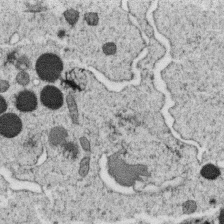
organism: C. elegans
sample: C. elegans oocyte; sperm cells